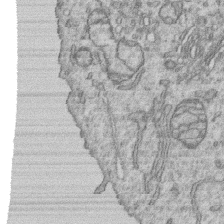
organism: Human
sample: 1205lu cells